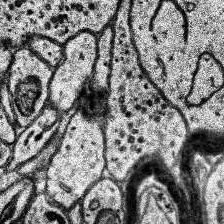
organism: Human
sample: Temporal Lobe